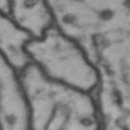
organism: Drosophila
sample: Brain